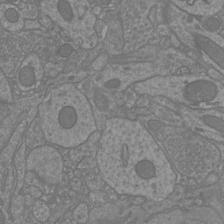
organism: Mouse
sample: Cortical neurons